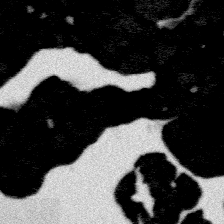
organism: Platynereis dumerilii